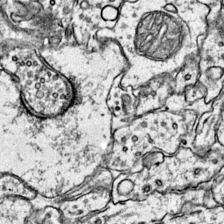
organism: Mouse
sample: Primary visual cortex